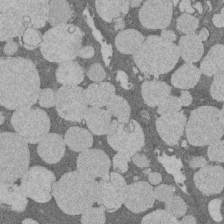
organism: Rat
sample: Salivary granule